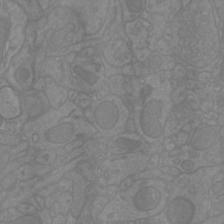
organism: Mouse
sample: Cortical neurons